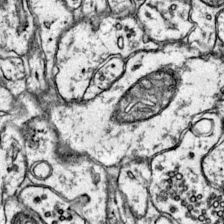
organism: Mouse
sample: Primary visual cortex